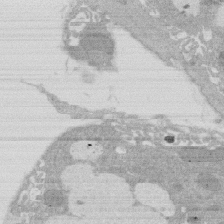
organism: Rat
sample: Salivary granule